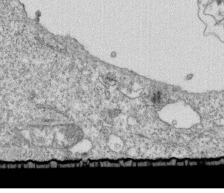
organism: Human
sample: HeLa cell HIV synapse